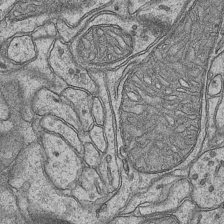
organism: Mouse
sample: CA1 Hippocampus